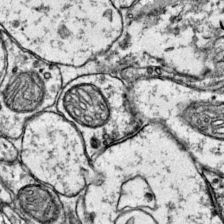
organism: Mouse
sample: Primary visual cortex